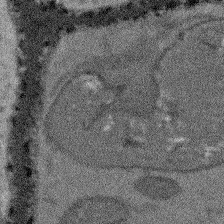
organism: Arabidopsis thaliana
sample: Root tip